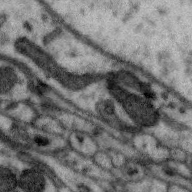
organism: Zebra finch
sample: Brain